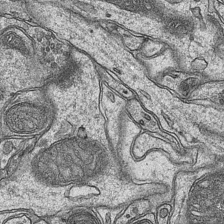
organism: Mouse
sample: CA1 Hippocampus